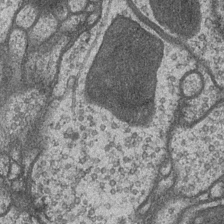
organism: Drosophila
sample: Optic medulla